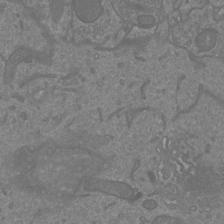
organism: Mouse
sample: Cortical neurons